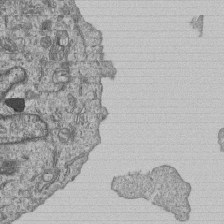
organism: Human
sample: MDA-MB-231 cells